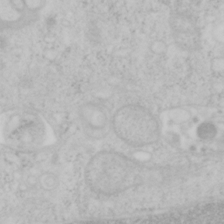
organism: Mouse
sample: OT-I killer T cells with ID8 ovarian cancer cells